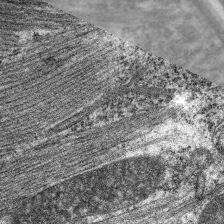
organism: C. elegans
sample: Pharynx